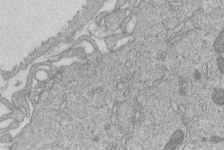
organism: Human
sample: Macrophage cells